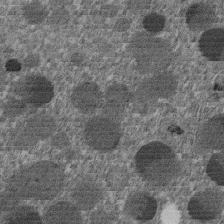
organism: C. elegans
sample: C. elegans embryo early stage